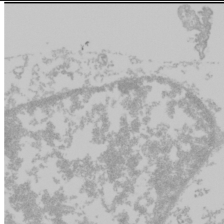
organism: Mouse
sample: Cancer cell death in ED-1 cells